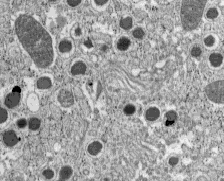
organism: C57BL Mouse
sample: Pancreatic islet